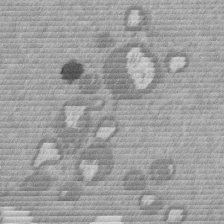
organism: Mouse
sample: Dividing mouse embryo 1 cell stage